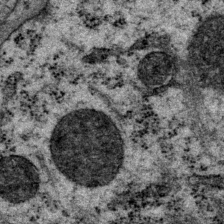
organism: P. pacificus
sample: Pharynx